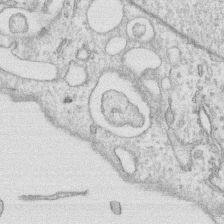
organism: Human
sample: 1205lu cells